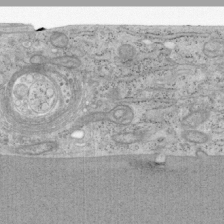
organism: Human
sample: HeLa cells